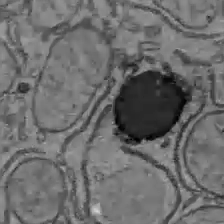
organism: C57BL Mouse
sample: Liver